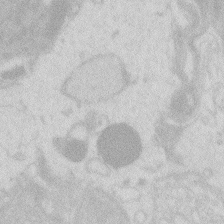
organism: Zebrafish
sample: Macrophage